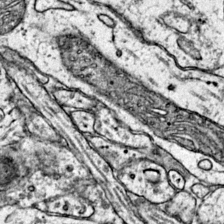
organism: Mouse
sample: Primary visual cortex